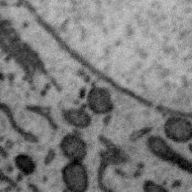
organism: Zebra finch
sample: Brain